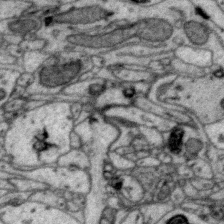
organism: Zebra finch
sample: Brain